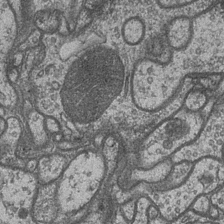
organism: Drosophila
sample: Optic medulla